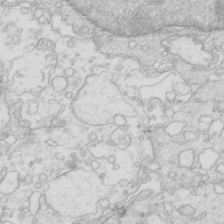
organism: Mouse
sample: Multiciliated cells